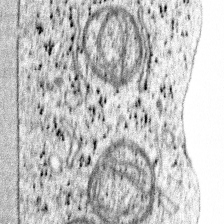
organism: Human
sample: HeLa cells